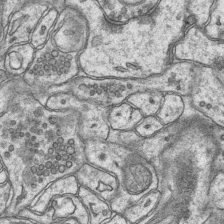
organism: Mouse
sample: CA1 Hippocampus